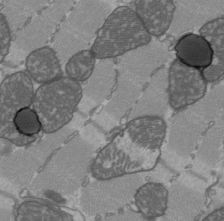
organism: C57BL Mouse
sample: Heart